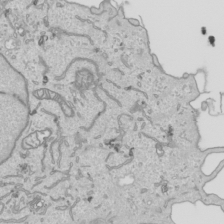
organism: Human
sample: Mitochondria in HCT116 cells